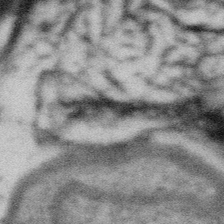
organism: Gemmata obscuriglobus